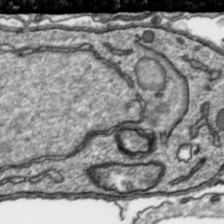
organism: Toxoplasma gondii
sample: Parasites in a vacuole inside a host cell